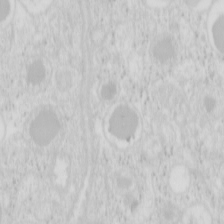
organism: Mouse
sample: Pancreas